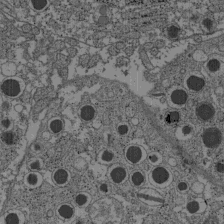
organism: C57BL Mouse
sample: Pancreatic islet